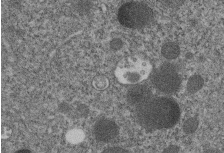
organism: C. elegans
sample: C. elegans embryo early stage